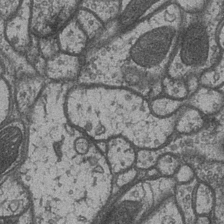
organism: Drosophila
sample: Optic medulla